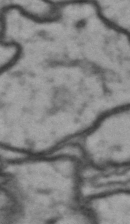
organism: Drosophila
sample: Brain